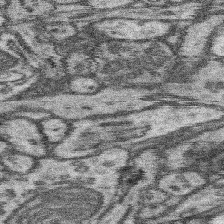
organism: Mouse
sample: Somatosensory cortex neuropil